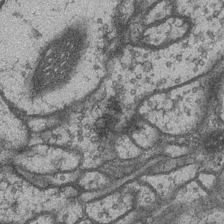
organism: Drosophila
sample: Optic medulla